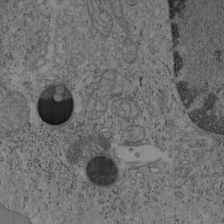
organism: Mouse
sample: OT-I killer T cells with ID8 ovarian cancer cells